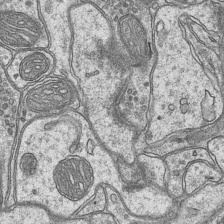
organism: Mouse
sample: CA1 Hippocampus